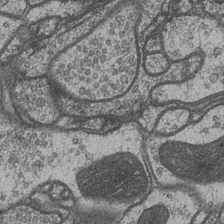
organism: Drosophila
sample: Optic medulla